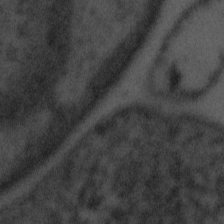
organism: Tuwongella immobilis